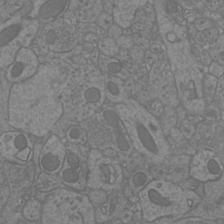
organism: Mouse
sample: Cortical neurons